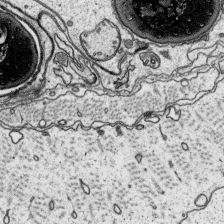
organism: Platynereis dumerilii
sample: Parapodia